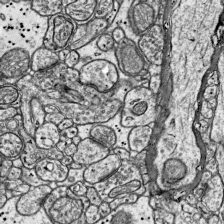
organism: Mouse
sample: Visual Cortex